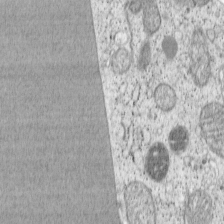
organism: African green monkey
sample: COS-7 cells